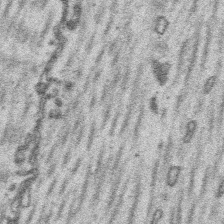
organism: Platynereis dumerilii